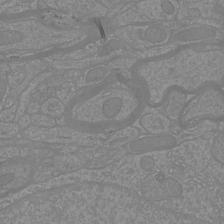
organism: Mouse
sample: Cortical neurons